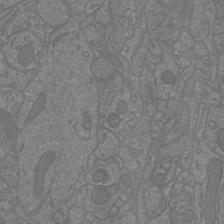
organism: Mouse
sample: Cortical neurons